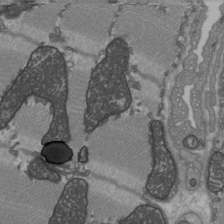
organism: C57BL Mouse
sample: Heart